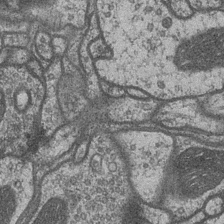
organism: Drosophila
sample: Optic medulla